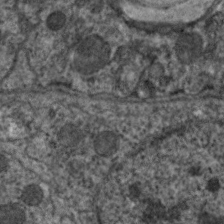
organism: C. elegans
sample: Pharynx